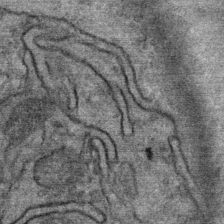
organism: Mouse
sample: Mouse Salivary gland